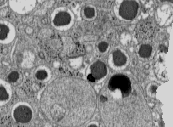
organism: C57BL Mouse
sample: Pancreatic islet